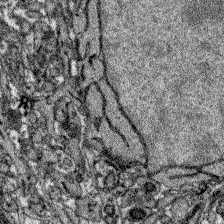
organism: Zebrafish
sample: Larval olfactory bulb